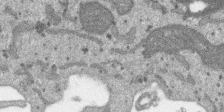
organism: Human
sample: Lung epithelial cells infected with SARS-CoV-2